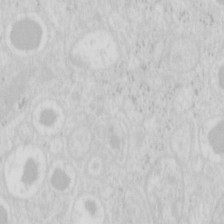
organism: Mouse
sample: Pancreas